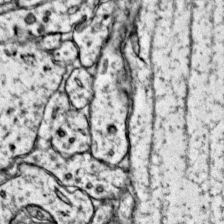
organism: Mouse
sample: Primary visual cortex